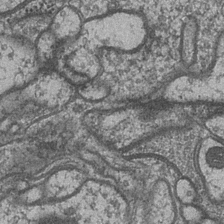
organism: Drosophila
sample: Optic medulla